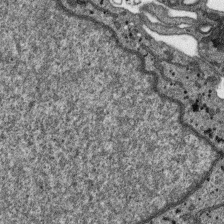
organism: Human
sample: Lung epithelial cells infected with SARS-CoV-2